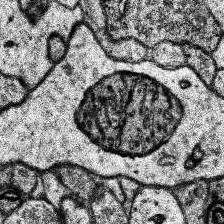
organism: Human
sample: Temporal Lobe